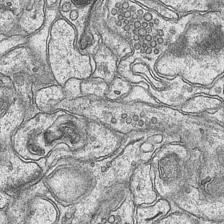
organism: Mouse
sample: CA1 Hippocampus